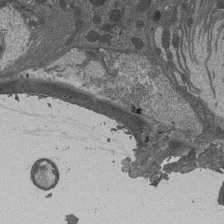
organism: Drosophila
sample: Antenna